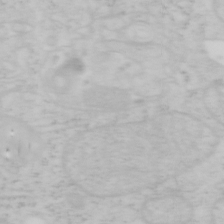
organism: Mouse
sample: OT-I killer T cells with ID8 ovarian cancer cells